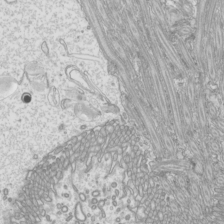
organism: Mouse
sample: Cilia; mouse epididymis